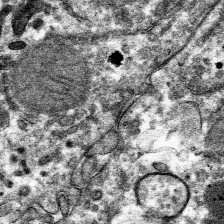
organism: Mouse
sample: Mouse hepatocytes